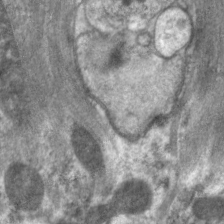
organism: C. elegans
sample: Pharynx